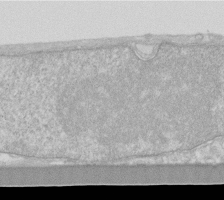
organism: Human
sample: Fibroblast cells